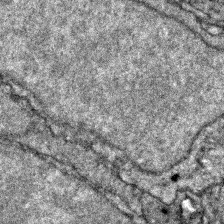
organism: Zebrafish